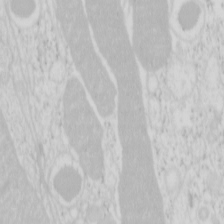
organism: Mouse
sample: Pancreas